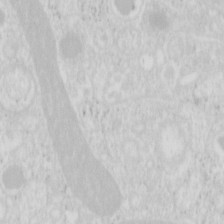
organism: Mouse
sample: Pancreas